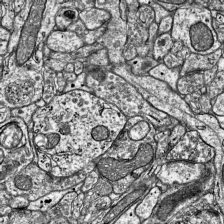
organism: Mouse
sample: Visual Cortex